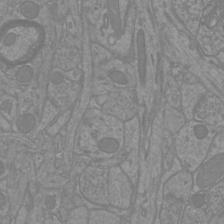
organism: Mouse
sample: Cortical neurons